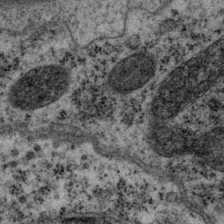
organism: P. pacificus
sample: Pharynx